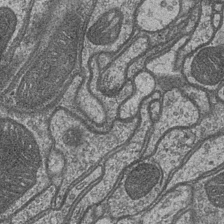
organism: Drosophila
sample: Optic medulla